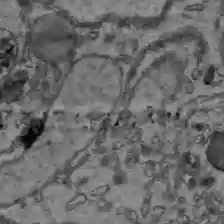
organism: C57BL Mouse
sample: Liver